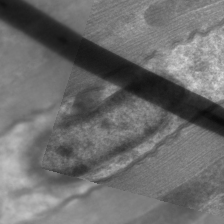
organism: C. elegans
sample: Pharynx